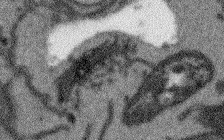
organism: Arabidopsis thaliana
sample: Root tip